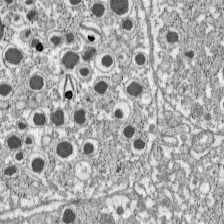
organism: C57BL Mouse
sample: Pancreatic islet